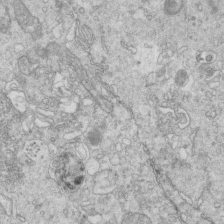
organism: Mouse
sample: Multiciliated cells